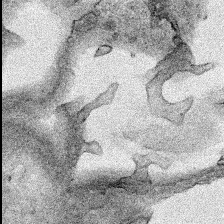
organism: Human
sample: Mitochondria in HCT116 cells